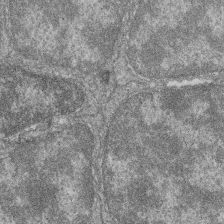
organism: Zebrafish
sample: Cilia; retinal pigment epithelium